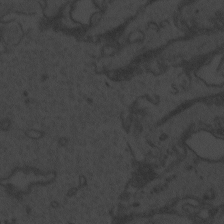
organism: Zebrafish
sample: Macrophage infected with Toxoplasma gondii